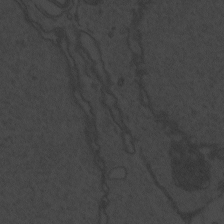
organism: Zebrafish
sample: Macrophage infected with Toxoplasma gondii